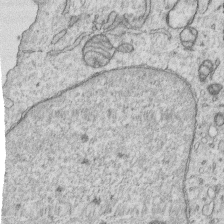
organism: Human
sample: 1205lu cells